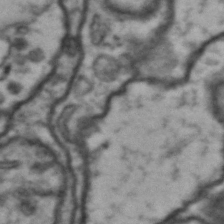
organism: Drosophila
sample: Brain